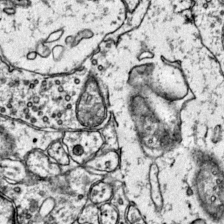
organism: Mouse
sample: Primary visual cortex